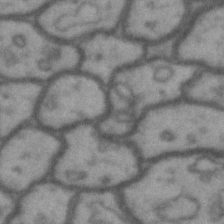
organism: Drosophila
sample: Brain